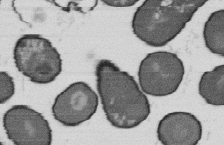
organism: B. subtilis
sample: Bacterial spore